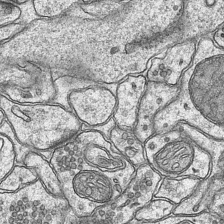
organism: Mouse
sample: CA1 Hippocampus